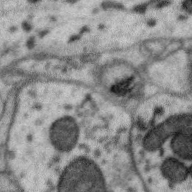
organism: Zebra finch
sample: Brain